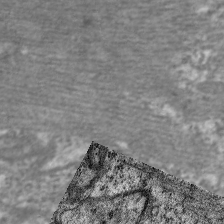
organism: C. elegans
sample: Pharynx